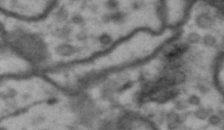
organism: Drosophila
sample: Brain